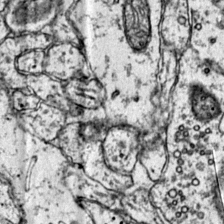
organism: Mouse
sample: Primary visual cortex